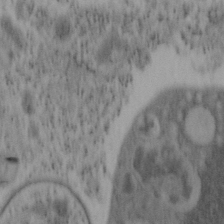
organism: Mouse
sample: OT-I killer T cells with ID8 ovarian cancer cells